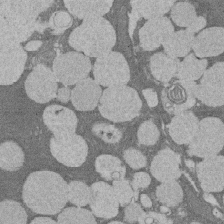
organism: Rat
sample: Salivary granule